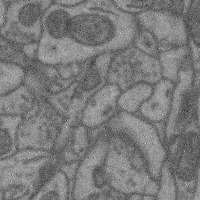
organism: Mouse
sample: Cerebral cortex